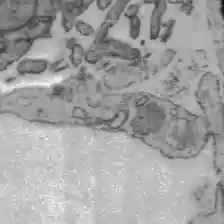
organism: C57BL Mouse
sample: Liver